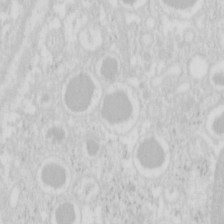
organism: Mouse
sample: Pancreas